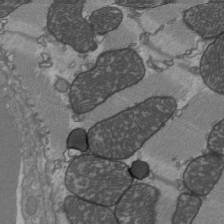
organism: C57BL Mouse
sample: Heart